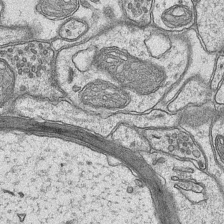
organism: Mouse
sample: CA1 Hippocampus